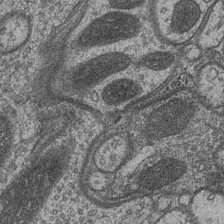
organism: Drosophila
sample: Optic medulla